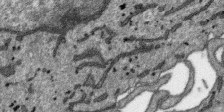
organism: Human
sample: Lung epithelial cells, uninfected (mock) control